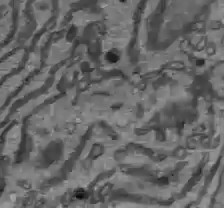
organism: C57BL Mouse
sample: Liver